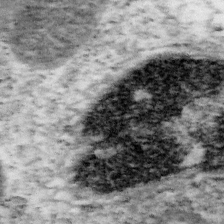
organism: Mouse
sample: OT-I killer T cells with ID8 ovarian cancer cells